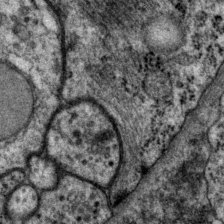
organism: P. pacificus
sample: Pharynx